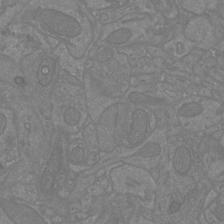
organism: Mouse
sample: Cortical neurons